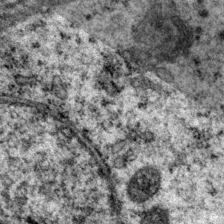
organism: P. pacificus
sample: Pharynx